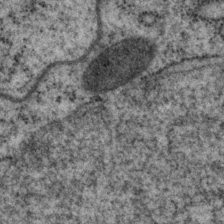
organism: P. pacificus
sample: Pharynx